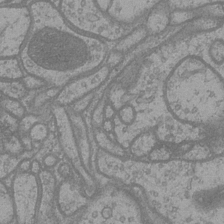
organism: Drosophila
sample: Optic medulla